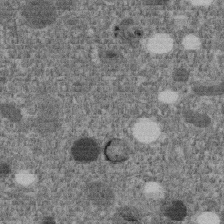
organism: C. elegans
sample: C. elegans embryo early stage